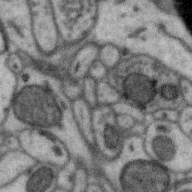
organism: Zebra finch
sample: Brain